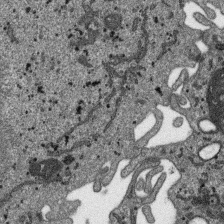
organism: Human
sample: Lung epithelial cells infected with SARS-CoV-2